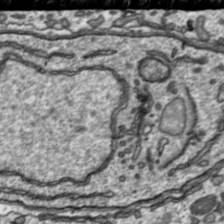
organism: Toxoplasma gondii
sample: Parasites in a vacuole inside a host cell